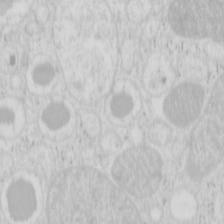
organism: Mouse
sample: Pancreas